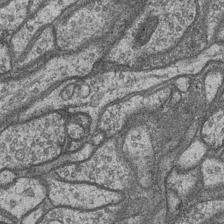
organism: Drosophila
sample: Optic medulla